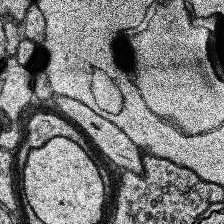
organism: Human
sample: Temporal Lobe